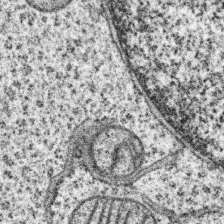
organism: Human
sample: HeLa cells